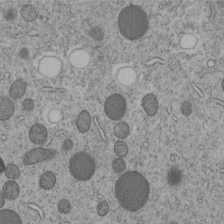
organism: C. elegans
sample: C. elegans embryo early stage